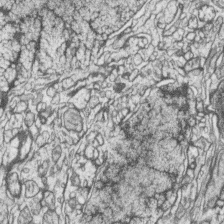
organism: Zebrafish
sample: synaptic ribbons in rod cells and cone cells